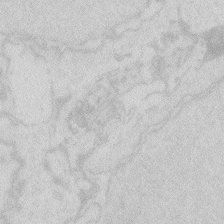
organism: Zebrafish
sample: Macrophage